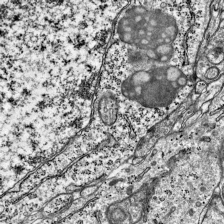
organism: Mouse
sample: Visual Cortex